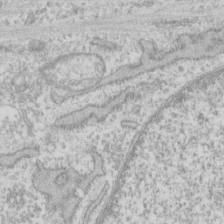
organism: Human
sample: Fibroblast cells